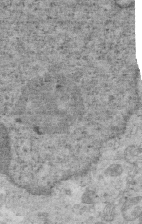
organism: Mouse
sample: Multiciliated cells